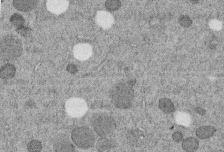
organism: C. elegans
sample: C. elegans embryo early stage